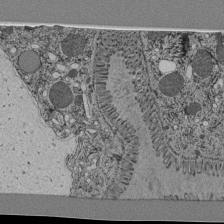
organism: C. elegans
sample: C. elegans pharynx